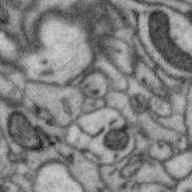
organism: Zebra finch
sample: Brain